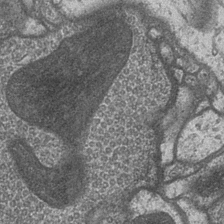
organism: Drosophila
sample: Optic medulla